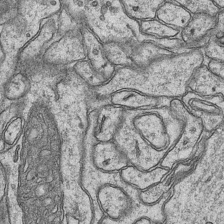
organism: Mouse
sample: CA1 Hippocampus